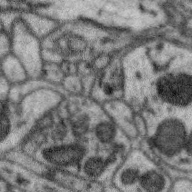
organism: Zebra finch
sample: Brain